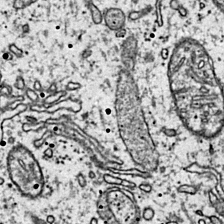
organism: Mouse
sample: Primary visual cortex